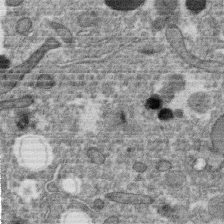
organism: C. elegans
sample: C. elegans oocyte; sperm cells